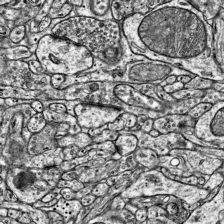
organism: Mouse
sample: Visual Cortex